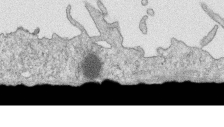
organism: Human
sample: HeLa cell HIV synapse